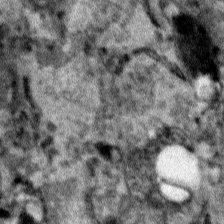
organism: Human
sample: Mitochondria in HCT116 cells